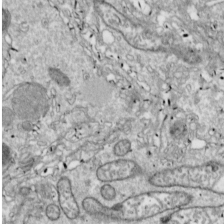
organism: Drosophila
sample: Cell division; meiosis; drosophila spermatocytes